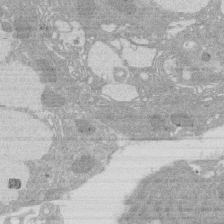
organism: Rat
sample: Salivary granule